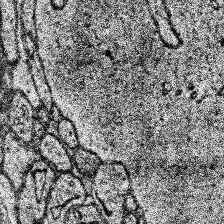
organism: Human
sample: Temporal Lobe